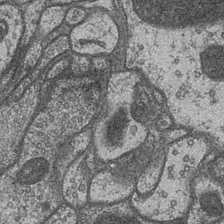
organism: Drosophila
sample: Optic medulla